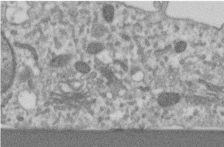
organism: Human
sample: Centriole in RPE cells